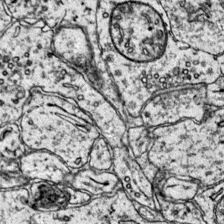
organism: Mouse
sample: Primary visual cortex